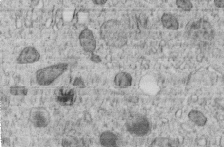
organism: C. elegans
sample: C. elegans embryo early stage